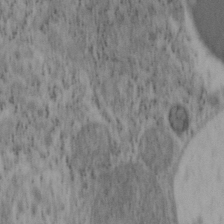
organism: Mouse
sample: OT-I killer T cells with ID8 ovarian cancer cells